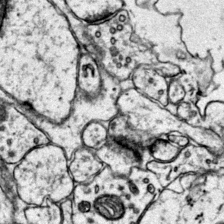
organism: Mouse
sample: Primary visual cortex